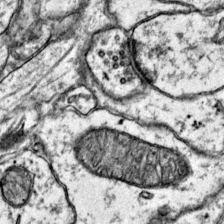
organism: Mouse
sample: Primary visual cortex